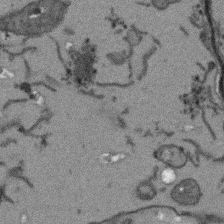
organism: Arabidopsis thaliana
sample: Root tip